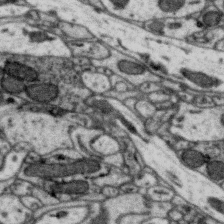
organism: Zebra finch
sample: Brain